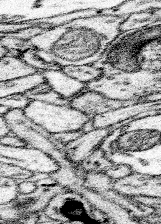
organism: Mouse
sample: Somatosensory cortex neuropil